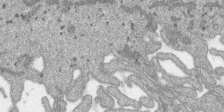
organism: Human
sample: Lung epithelial cells infected with SARS-CoV-2